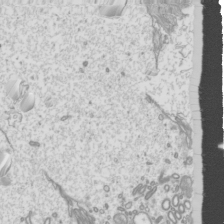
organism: Mouse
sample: Cilia; mouse epididymis